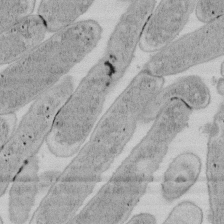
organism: E. coli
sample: Bacterial nucleoid